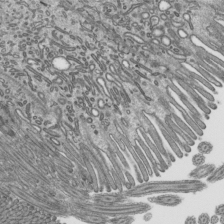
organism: Mouse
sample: Mouse epididymis efferent ductule cilia